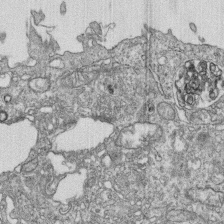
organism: Human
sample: HeLa cell HIV synapse